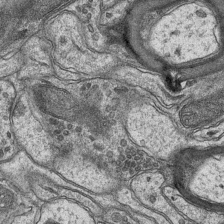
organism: Mouse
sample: CA1 Hippocampus